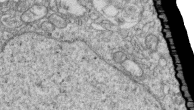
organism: Human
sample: HeLa cell HIV synapse